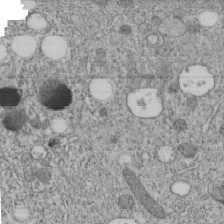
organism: C. elegans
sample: C. elegans embryo early stage